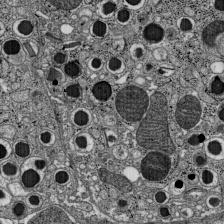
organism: C57BL Mouse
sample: Pancreatic islet